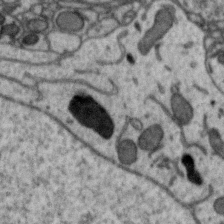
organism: Zebra finch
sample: Brain